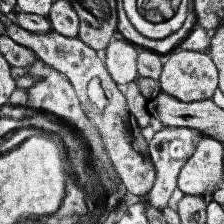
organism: Human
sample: Temporal Lobe